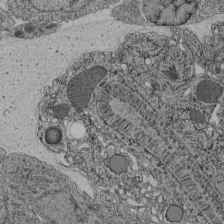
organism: C. elegans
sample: C. elegans pharynx